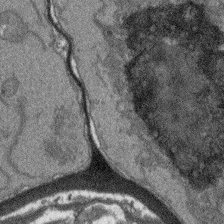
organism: Arabidopsis thaliana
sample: Root tip